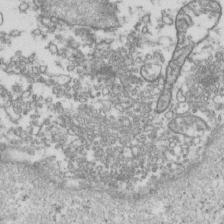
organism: Human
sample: Activated Jurkat CD4+ T cells